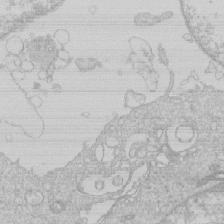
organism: Human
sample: Macrophage cells